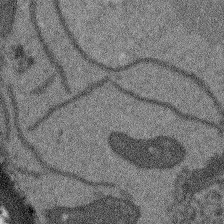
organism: Arabidopsis thaliana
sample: Root tip